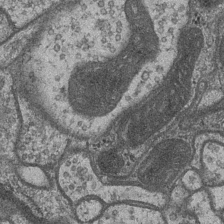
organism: Drosophila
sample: Optic medulla